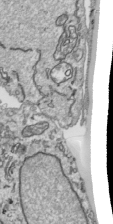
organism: Human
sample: Mitochondria in HCT116 cells